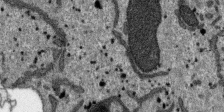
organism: Human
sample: Lung epithelial cells, uninfected (mock) control